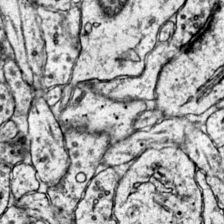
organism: Mouse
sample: Primary visual cortex